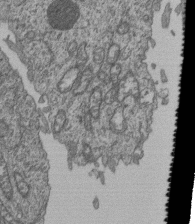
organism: Human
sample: Retinal organoid Rod and Cone cells